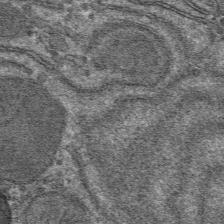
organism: Mouse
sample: Mouse hepatocytes